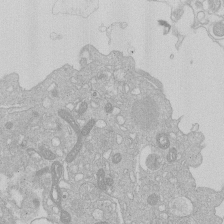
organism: Human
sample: Macrophage cells